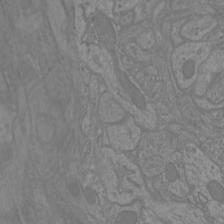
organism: Mouse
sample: Cortical neurons